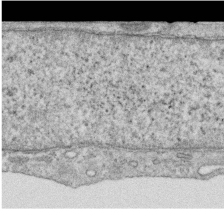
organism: Human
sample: Centriole in RPE cells